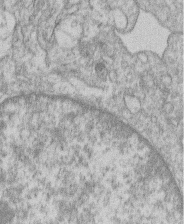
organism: Human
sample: Macrophage cells